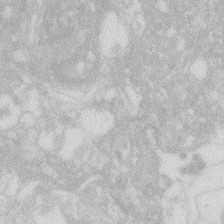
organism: Zebrafish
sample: Macrophage